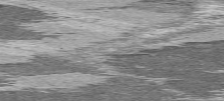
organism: C57BL Mouse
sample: Heart